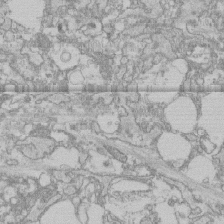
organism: Human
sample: CRL-1474